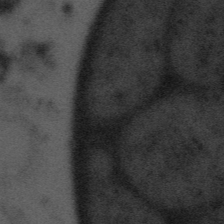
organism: Tuwongella immobilis